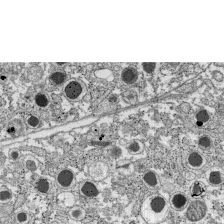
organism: C57BL Mouse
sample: Pancreatic islet